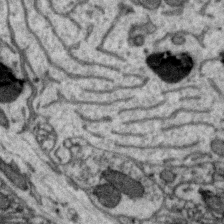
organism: Zebra finch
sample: Brain